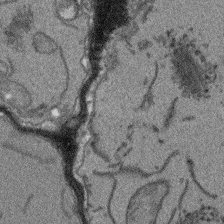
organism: Arabidopsis thaliana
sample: Root tip